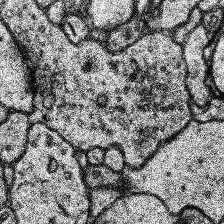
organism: Human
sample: Temporal Lobe